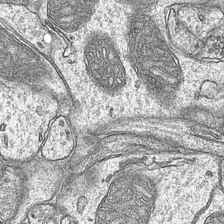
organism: Mouse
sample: CA1 Hippocampus